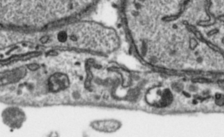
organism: Toxoplasma gondii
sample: Parasites in a vacuole inside a host cell